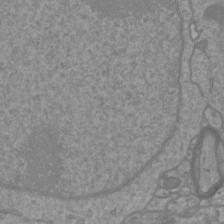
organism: Mouse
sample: Cortical neurons